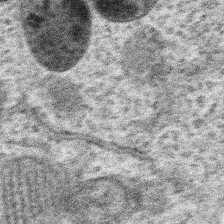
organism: Human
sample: HeLa cells